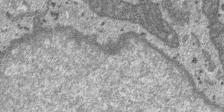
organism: Human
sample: Lung epithelial cells infected with SARS-CoV-2